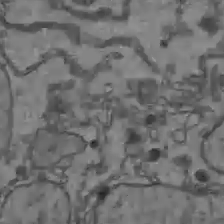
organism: C57BL Mouse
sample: Liver